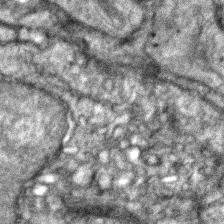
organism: Zebrafish